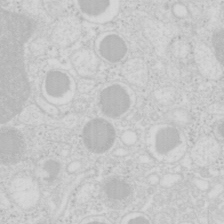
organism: Mouse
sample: Pancreas